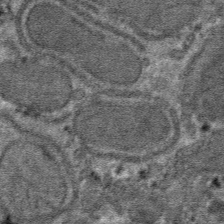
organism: Mouse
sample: Mouse hepatocytes